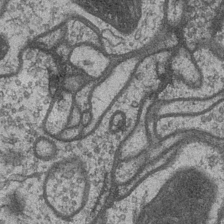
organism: Drosophila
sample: Optic medulla